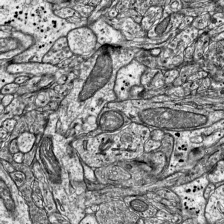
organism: Mouse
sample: Visual Cortex